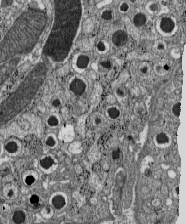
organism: C57BL Mouse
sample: Pancreatic islet